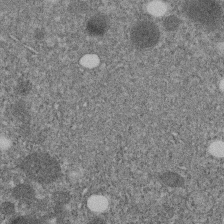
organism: C. elegans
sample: C. elegans embryo early stage